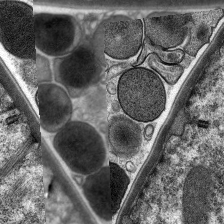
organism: C. elegans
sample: Pharynx